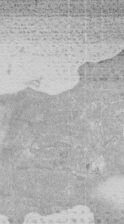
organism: Human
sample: Centriole in RPE cells